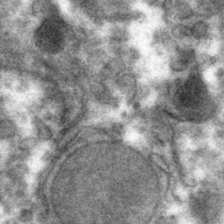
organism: Mouse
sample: Mouse hepatocytes